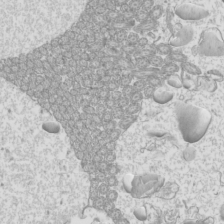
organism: Mouse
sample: Cilia; mouse epididymis